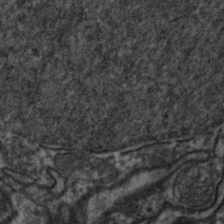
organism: Zebrafish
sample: Zebrafish embryo